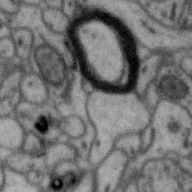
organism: Zebra finch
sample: Brain